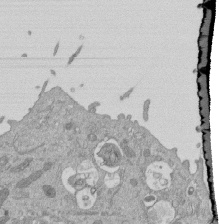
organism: Mouse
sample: ED-1 cell nuclei; centrioles